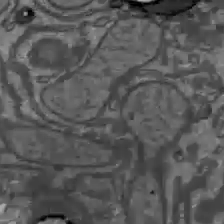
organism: C57BL Mouse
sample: Liver